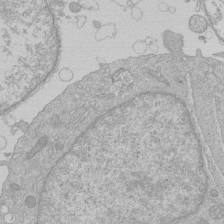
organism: Human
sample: Macrophage cells